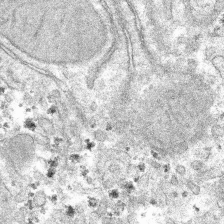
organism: Mouse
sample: Mouse hepatocytes